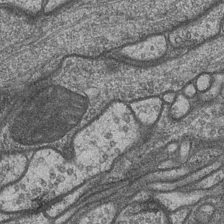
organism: Drosophila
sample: Optic medulla